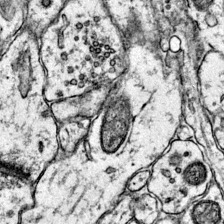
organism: Mouse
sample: Primary visual cortex